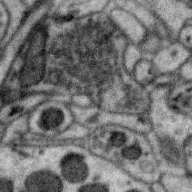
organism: Zebra finch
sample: Brain